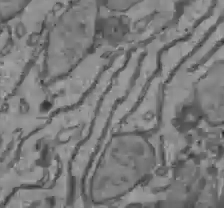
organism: C57BL Mouse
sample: Liver